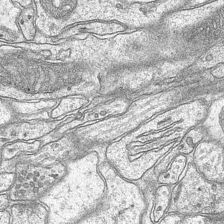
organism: Mouse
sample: CA1 Hippocampus